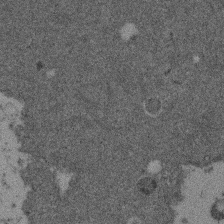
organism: Mouse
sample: Dividing mouse embryo 1 cell stage